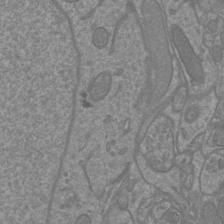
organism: Mouse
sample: Cortical neurons